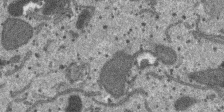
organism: Human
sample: Lung epithelial cells infected with SARS-CoV-2